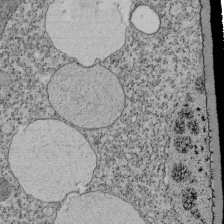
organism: Tetrahymena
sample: Cilia in tetrahymena